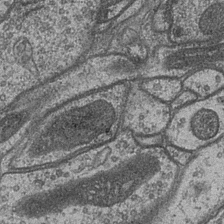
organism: Drosophila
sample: Optic medulla